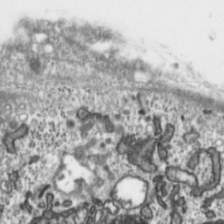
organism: Toxoplasma gondii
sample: Parasites in a vacuole inside a host cell